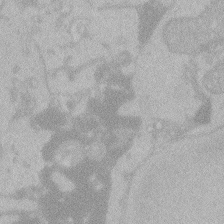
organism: Zebrafish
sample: Macrophage infected with Toxoplasma gondii